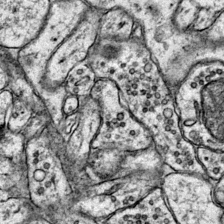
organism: Mouse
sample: Primary visual cortex